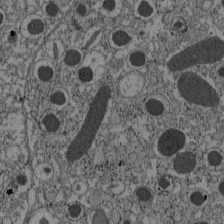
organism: C57BL Mouse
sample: Pancreatic islet